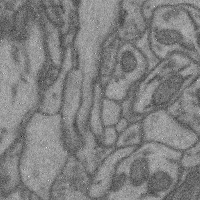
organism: Mouse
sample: Cerebral cortex